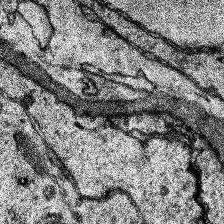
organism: Human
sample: Temporal Lobe